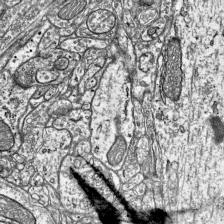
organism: Mouse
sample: Visual Cortex